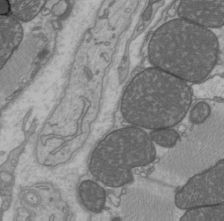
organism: C57BL Mouse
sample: Heart